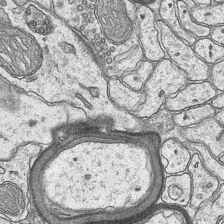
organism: Mouse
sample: CA1 Hippocampus